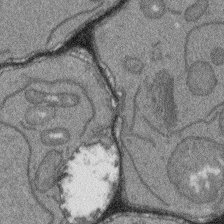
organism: Arabidopsis thaliana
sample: Root tip